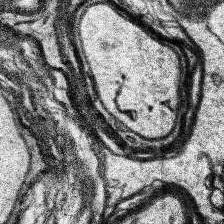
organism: Human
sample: Temporal Lobe